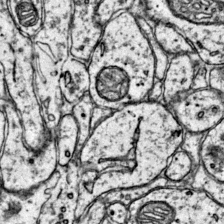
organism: Mouse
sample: Primary visual cortex